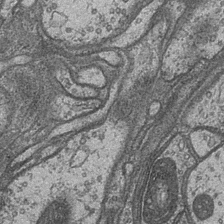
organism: Drosophila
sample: Optic medulla